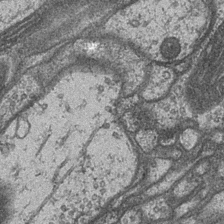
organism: Drosophila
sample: Optic medulla